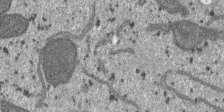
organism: Human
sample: Lung epithelial cells infected with SARS-CoV-2